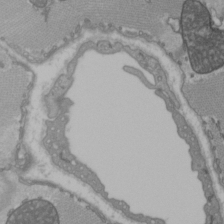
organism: C57BL Mouse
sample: Heart